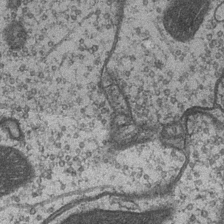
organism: Drosophila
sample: Optic medulla